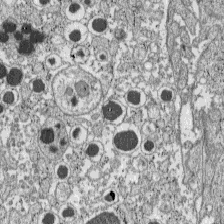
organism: C57BL Mouse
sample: Pancreatic islet